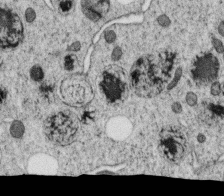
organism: C. elegans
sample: C. elegans oocyte; sperm cells